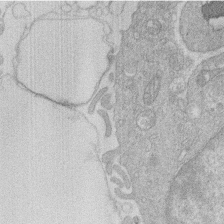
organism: Human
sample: Macrophage cells